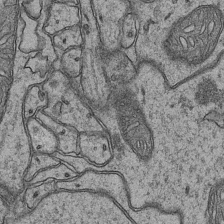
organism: Mouse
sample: CA1 Hippocampus